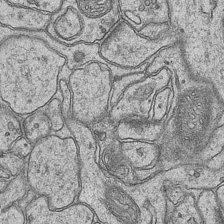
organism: Mouse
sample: CA1 Hippocampus